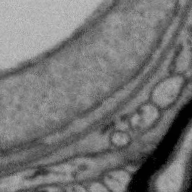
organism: Zebra finch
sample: Brain